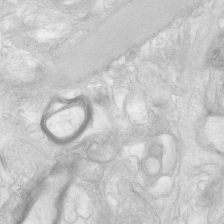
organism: Human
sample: Neocortex